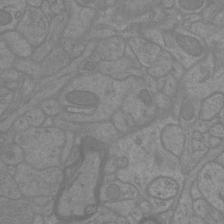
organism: Mouse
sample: Cortical neurons